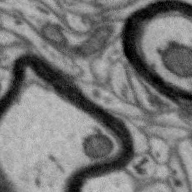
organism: Zebra finch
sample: Brain